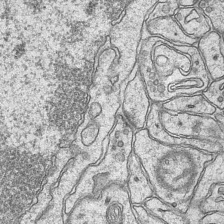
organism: Mouse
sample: CA1 Hippocampus